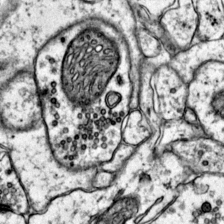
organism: Mouse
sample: Primary visual cortex